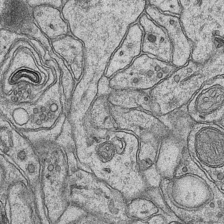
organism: Mouse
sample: CA1 Hippocampus